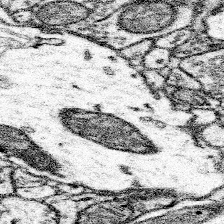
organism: Mouse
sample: Somatosensory cortex neuropil